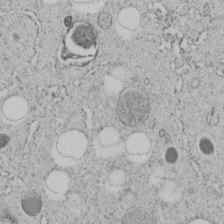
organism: C. elegans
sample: C. elegans embryo early stage